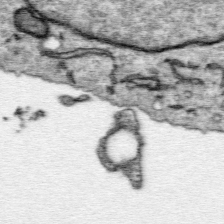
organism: Human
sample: HeLa cells